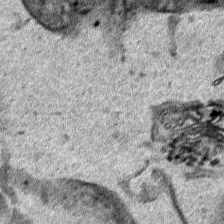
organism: Human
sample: Mitochondria in HCT116 cells